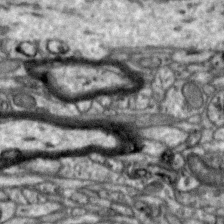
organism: Zebra finch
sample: Brain